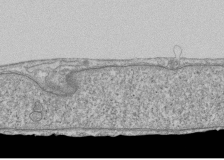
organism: Human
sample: Fibroblast cells